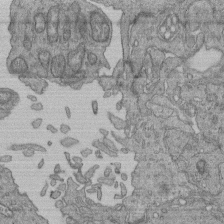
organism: Human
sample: Retinal organoid Rod and Cone cells